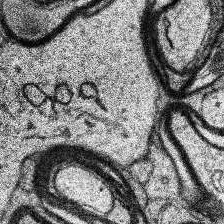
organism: Human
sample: Temporal Lobe